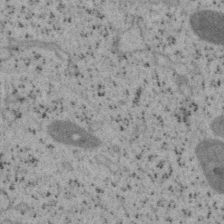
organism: Human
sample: HeLa cells